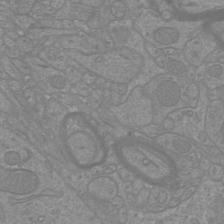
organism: Mouse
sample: Cortical neurons